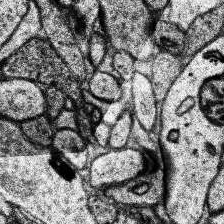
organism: Human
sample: Temporal Lobe